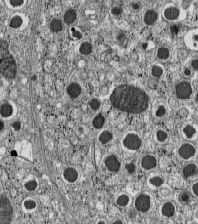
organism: C57BL Mouse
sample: Pancreatic islet